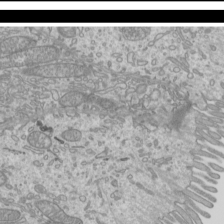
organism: Mouse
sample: Cilia; mouse epididymis